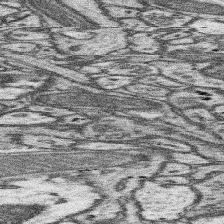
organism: Mouse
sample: Somatosensory cortex neuropil